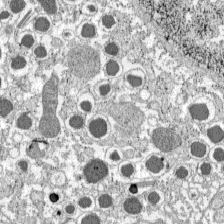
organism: C57BL Mouse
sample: Pancreatic islet